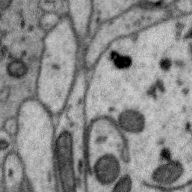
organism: Zebra finch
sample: Brain